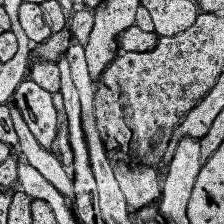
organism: Human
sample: Temporal Lobe